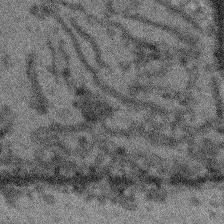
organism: Arabidopsis thaliana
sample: Root tip